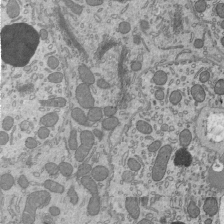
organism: Mouse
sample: Mouse epididymis efferent ductule cilia